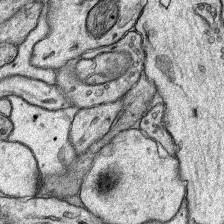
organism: Rat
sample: Hippocampus